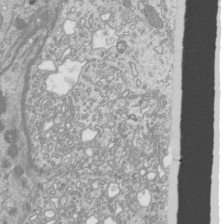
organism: Mouse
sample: Cilia; mouse epididymis